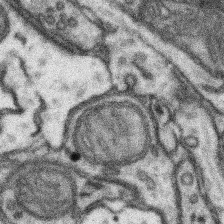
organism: Mouse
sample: Somatosensory cortex neuropil